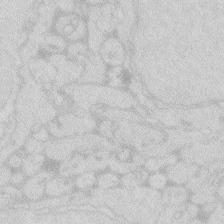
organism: Zebrafish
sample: Macrophage